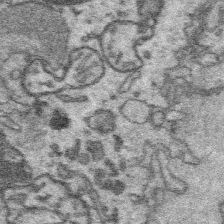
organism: Platynereis dumerilii